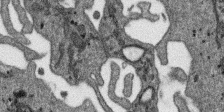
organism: Human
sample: Lung epithelial cells infected with SARS-CoV-2